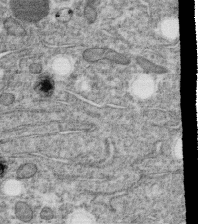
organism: C. elegans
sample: C. elegans oocyte; sperm cells